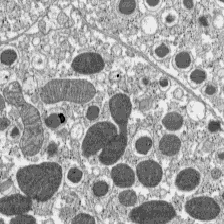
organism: C57BL Mouse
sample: Pancreatic islet